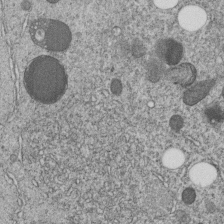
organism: C. elegans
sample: C. elegans embryo early stage